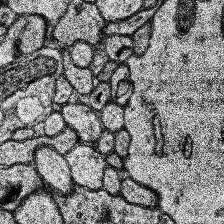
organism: Human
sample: Temporal Lobe